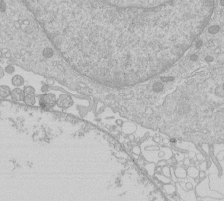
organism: Human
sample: Macrophage cells